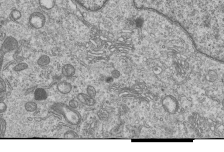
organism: Human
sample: MDA-MB-231 cells